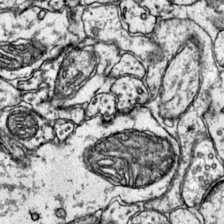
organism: Mouse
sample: Primary visual cortex